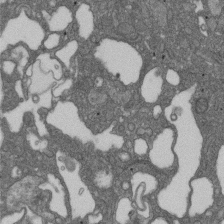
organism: Drosophila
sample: Nephrocyte